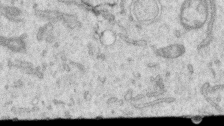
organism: Human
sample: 1205lu cells